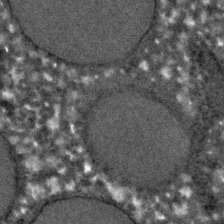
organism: C. elegans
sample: C. elegans embryo